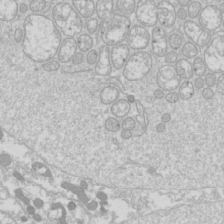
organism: Drosophila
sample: Cell division; meiosis; drosophila spermatocytes